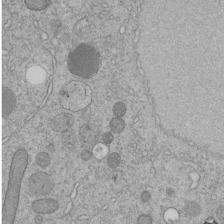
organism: C. elegans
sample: C. elegans embryo early stage